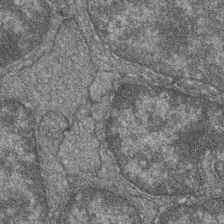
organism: Zebrafish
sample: Cilia; retinal pigment epithelium